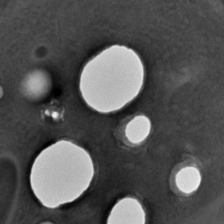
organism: C. elegans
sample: C. elegans embryo